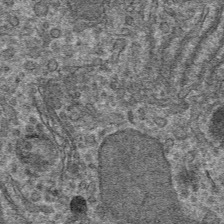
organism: Mouse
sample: Mouse hepatocytes